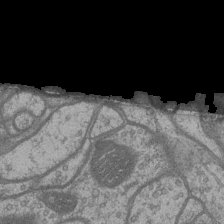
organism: Drosophila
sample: Optic medulla